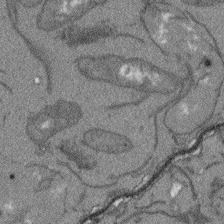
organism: Arabidopsis thaliana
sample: Root tip